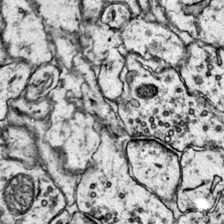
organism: Mouse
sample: Primary visual cortex